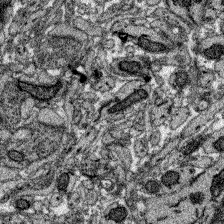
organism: Zebrafish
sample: Larval olfactory bulb